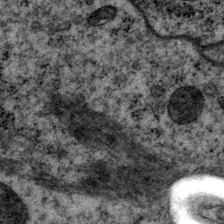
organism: P. pacificus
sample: Pharynx